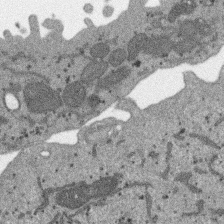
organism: Human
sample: Lung epithelial cells infected with SARS-CoV-2